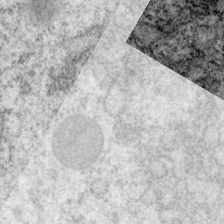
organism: P. pacificus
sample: Pharynx